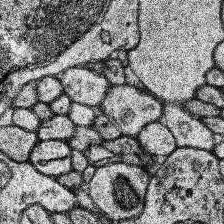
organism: Human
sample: Temporal Lobe